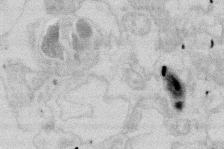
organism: Mouse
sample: T cell stromal cell synapse